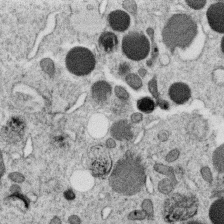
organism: C. elegans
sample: C. elegans oocyte; sperm cells